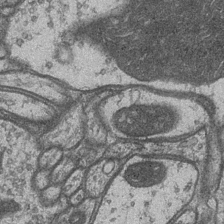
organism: Drosophila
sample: Optic medulla